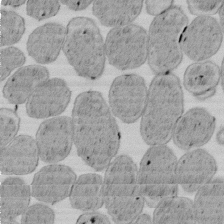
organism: E. coli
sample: Bacterial nucleoid